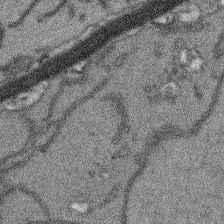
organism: Arabidopsis thaliana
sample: Root tip